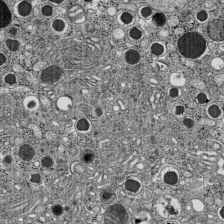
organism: C57BL Mouse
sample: Pancreatic islet